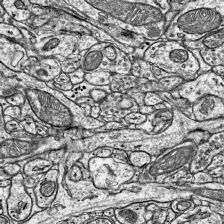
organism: Mouse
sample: Visual Cortex